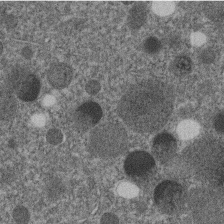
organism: C. elegans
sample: C. elegans embryo early stage